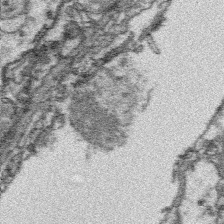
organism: Platynereis dumerilii